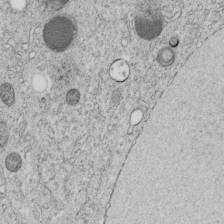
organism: C. elegans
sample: C. elegans embryo early stage